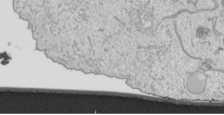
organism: Human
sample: Mitochondria in HCT116 cells